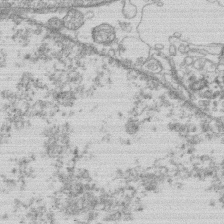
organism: Human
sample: Macrophage cells